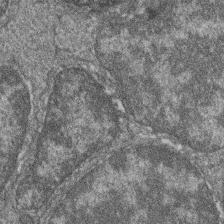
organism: Zebrafish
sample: Cilia; retinal pigment epithelium